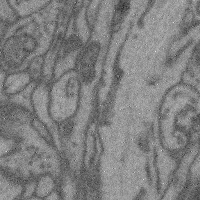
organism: Mouse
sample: Cerebral cortex